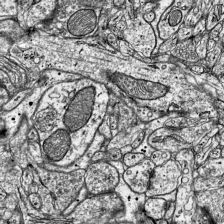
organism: Mouse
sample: Visual Cortex